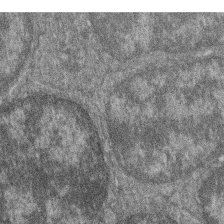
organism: Zebrafish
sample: Cilia; retinal pigment epithelium